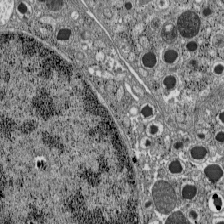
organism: C57BL Mouse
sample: Pancreatic islet